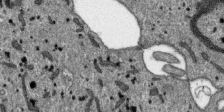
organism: Human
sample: Lung epithelial cells, uninfected (mock) control